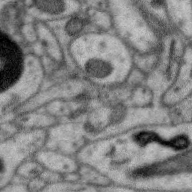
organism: Zebra finch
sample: Brain